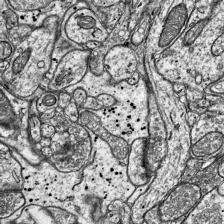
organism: Mouse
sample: Visual Cortex